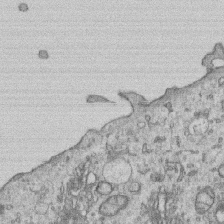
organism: Human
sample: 1205lu cells